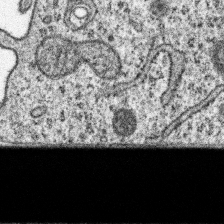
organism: Human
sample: HeLa cells